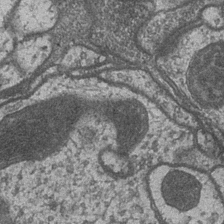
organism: Drosophila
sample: Optic medulla